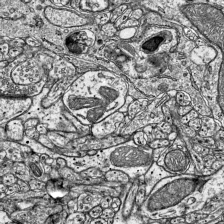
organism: Mouse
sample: Visual Cortex